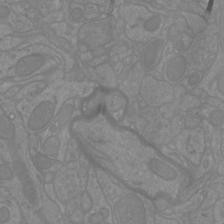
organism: Mouse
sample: Cortical neurons